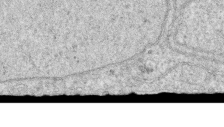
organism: Human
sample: HeLa cell HIV synapse